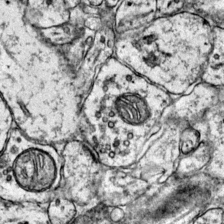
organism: Mouse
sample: Primary visual cortex